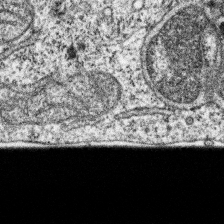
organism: Human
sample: HeLa cells